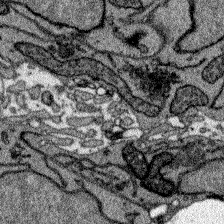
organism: Zebrafish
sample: Larval olfactory bulb